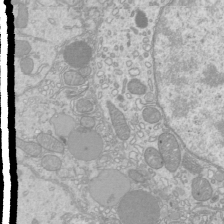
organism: Mouse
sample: Cilia; mouse epididymis